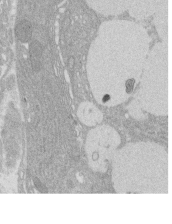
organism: Rat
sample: Salivary granule